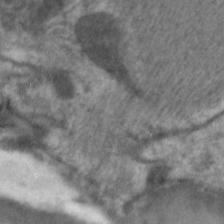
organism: C. elegans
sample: Pharynx